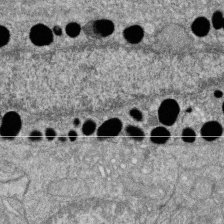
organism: Zebrafish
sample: Cilia; retinal pigment epithelium